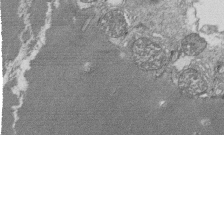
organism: Tetrahymena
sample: Cilia in tetrahymena